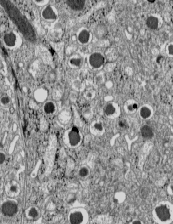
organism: C57BL Mouse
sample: Pancreatic islet